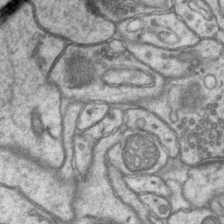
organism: Mouse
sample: CA1 Hippocampus